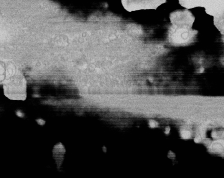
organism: Human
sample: CRL-1474